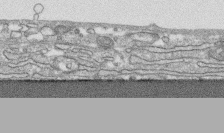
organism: Human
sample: CRL-1474